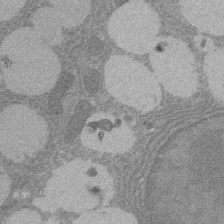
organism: Rat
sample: Salivary granule